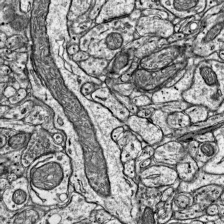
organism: Mouse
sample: Visual Cortex